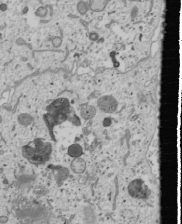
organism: Human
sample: Mitochondria in U2OS cells